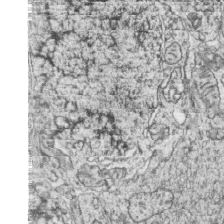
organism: Zebrafish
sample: synaptic ribbons in rod cells and cone cells